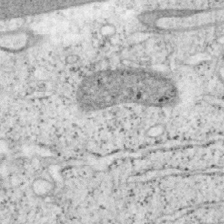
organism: Mouse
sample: OT-I killer T cells with ID8 ovarian cancer cells